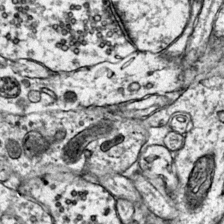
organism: Mouse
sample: Primary visual cortex